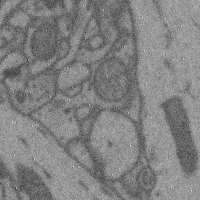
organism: Mouse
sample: Cerebral cortex